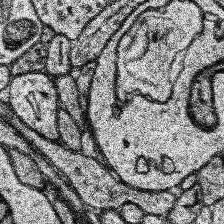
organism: Human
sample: Temporal Lobe